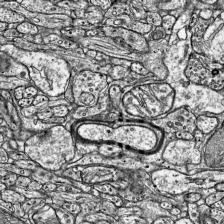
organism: Mouse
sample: Visual Cortex